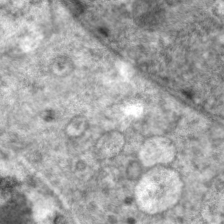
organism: C. elegans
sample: Pharynx